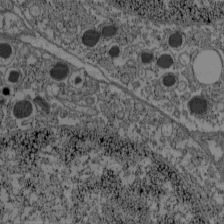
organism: C57BL Mouse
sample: Pancreatic islet